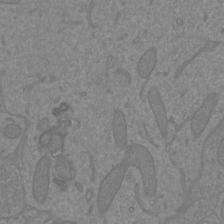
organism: Mouse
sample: Cortical neurons